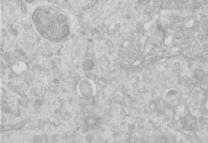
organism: Human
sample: Centriole in RPE cells